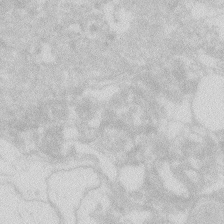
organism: Zebrafish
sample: Macrophage